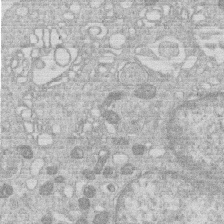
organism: Human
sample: Macrophage cells